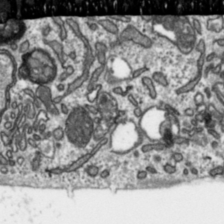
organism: Toxoplasma gondii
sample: Parasites in a vacuole inside a host cell